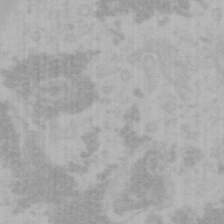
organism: Mouse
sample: Choroid plexus